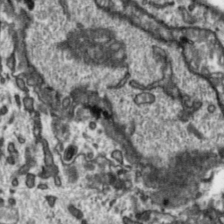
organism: Toxoplasma gondii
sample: Parasites in a vacuole inside a host cell